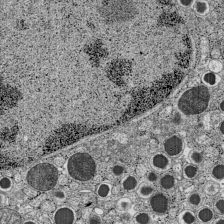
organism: C57BL Mouse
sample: Pancreatic islet